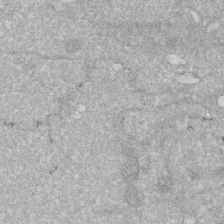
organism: Human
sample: HIV infected U937 cells